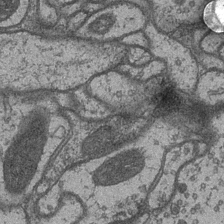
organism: Drosophila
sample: Optic medulla